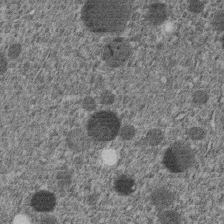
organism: C. elegans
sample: C. elegans embryo early stage